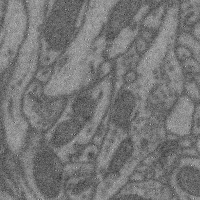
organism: Mouse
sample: Cerebral cortex